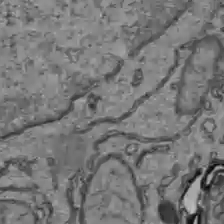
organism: C57BL Mouse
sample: Liver